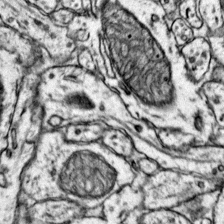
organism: Mouse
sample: Primary visual cortex